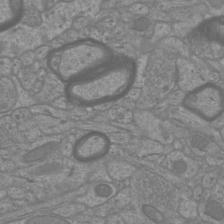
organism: Mouse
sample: Cortical neurons